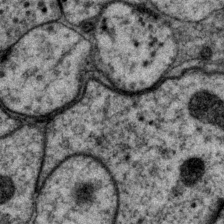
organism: P. pacificus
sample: Pharynx